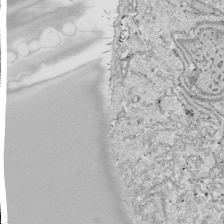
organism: Drosophila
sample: Cell division; meiosis; drosophila spermatocytes